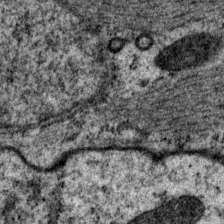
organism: P. pacificus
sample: Pharynx